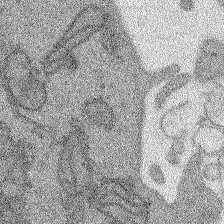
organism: Human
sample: HeLa cells